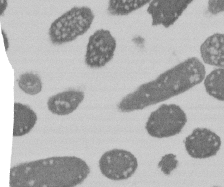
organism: E. coli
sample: Bacterial nucleoid